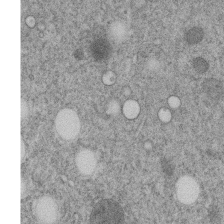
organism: C. elegans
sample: C. elegans embryo early stage